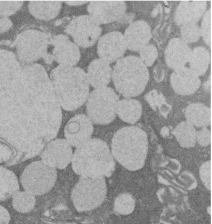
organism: Rat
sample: Salivary granule